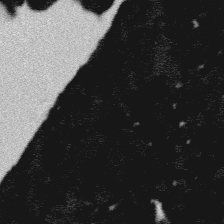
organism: Platynereis dumerilii